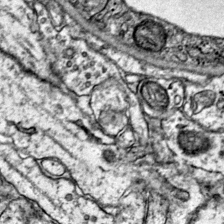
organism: Mouse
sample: Primary visual cortex